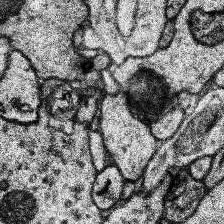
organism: Human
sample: Temporal Lobe